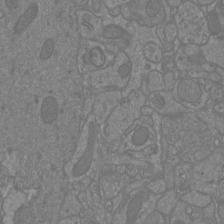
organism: Mouse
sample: Cortical neurons